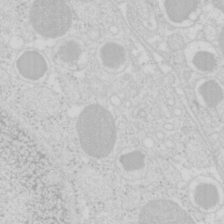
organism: Mouse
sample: Pancreas